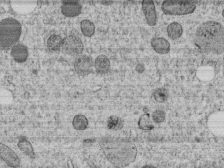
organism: C. elegans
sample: C. elegans embryo early stage